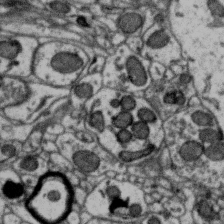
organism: Zebra finch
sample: Brain